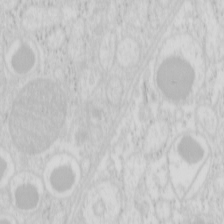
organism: Mouse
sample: Pancreas